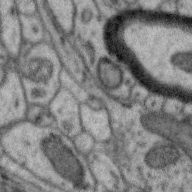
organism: Zebra finch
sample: Brain